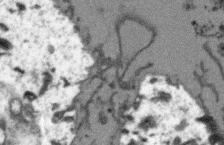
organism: Arabidopsis thaliana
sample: Root tip